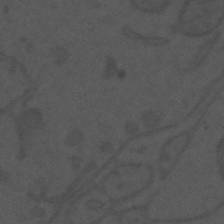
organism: Mouse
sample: Suprachiasmatic nucleus